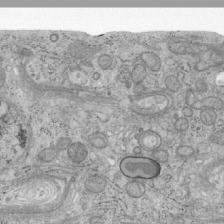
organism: Human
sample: HeLa cells